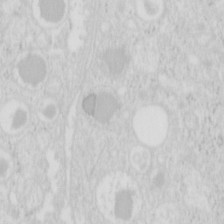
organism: Mouse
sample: Pancreas